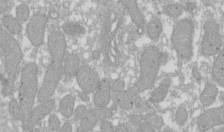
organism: Xenopus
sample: Cilia; centrioles in frog embryo cells